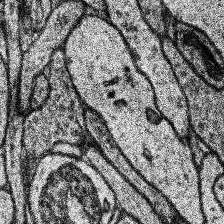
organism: Human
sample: Temporal Lobe